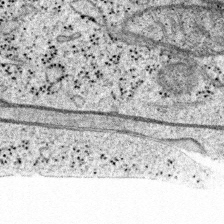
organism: Human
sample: HeLa cells